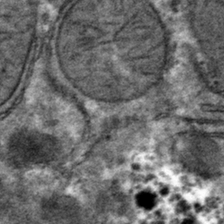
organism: Mouse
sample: Mouse hepatocytes